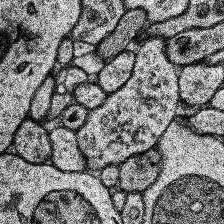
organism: Human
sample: Temporal Lobe